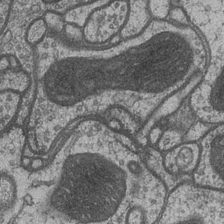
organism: Drosophila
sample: Optic medulla